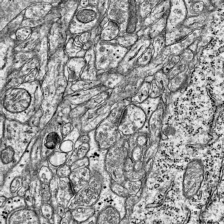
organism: Mouse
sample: Visual Cortex